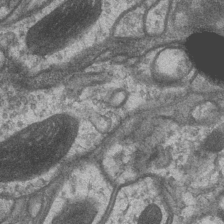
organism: Drosophila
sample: Optic medulla